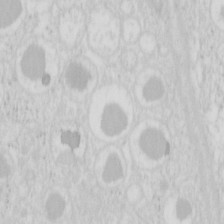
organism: Mouse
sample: Pancreas